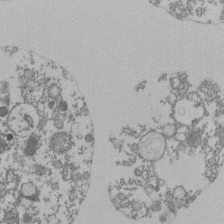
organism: Mouse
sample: Activated Pmel transgenic CD8+ T Cells